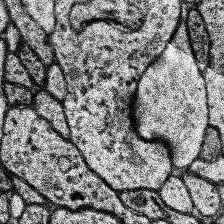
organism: Human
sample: Temporal Lobe